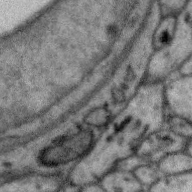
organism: Zebra finch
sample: Brain